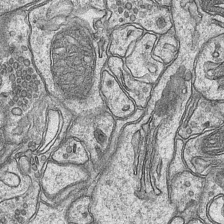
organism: Mouse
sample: CA1 Hippocampus